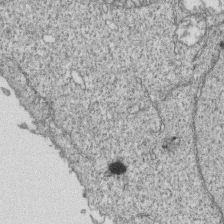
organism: Human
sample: HeLa cell HIV synapse